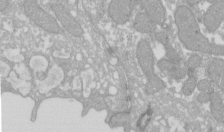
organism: Xenopus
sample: Cilia; centrioles in frog embryo cells